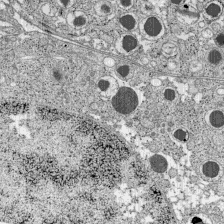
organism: C57BL Mouse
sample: Pancreatic islet